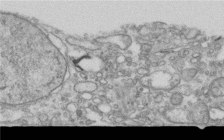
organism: Human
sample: Centriole in RPE cells